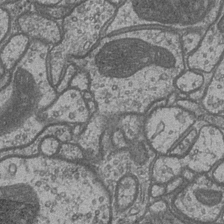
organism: Drosophila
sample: Optic medulla